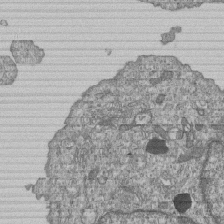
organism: Human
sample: MDA-MB-231 cells